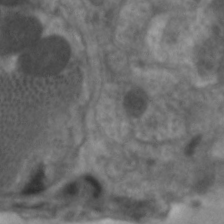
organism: C. elegans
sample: Pharynx